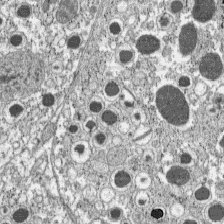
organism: C57BL Mouse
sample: Pancreatic islet